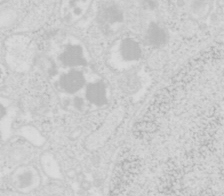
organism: Mouse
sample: Pancreas